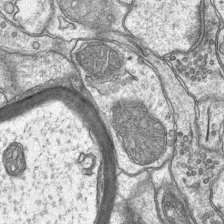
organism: Mouse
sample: CA1 Hippocampus